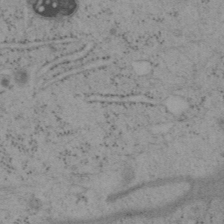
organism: Mouse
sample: OT-I killer T cells with ID8 ovarian cancer cells